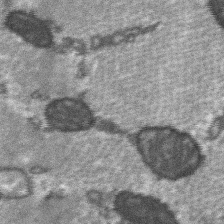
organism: C57BL Mouse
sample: Soleus